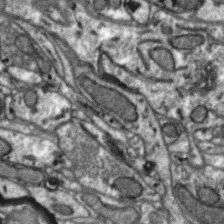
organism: Zebra finch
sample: Brain